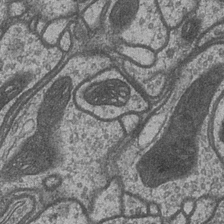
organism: Drosophila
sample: Optic medulla